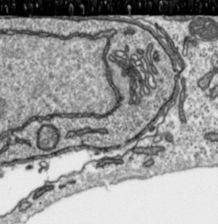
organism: Toxoplasma gondii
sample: Parasites in a vacuole inside a host cell